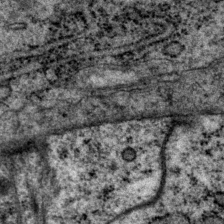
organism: P. pacificus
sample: Pharynx